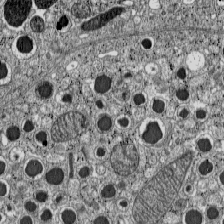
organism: C57BL Mouse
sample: Pancreatic islet